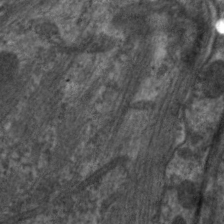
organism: C. elegans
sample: Pharynx